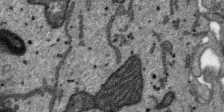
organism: Human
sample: Lung epithelial cells, uninfected (mock) control